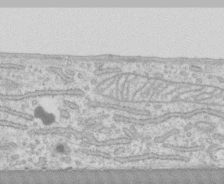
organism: Human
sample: CRL-1474